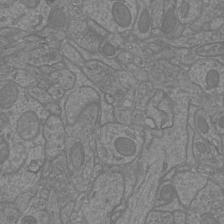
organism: Mouse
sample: Cortical neurons